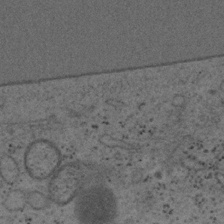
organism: Human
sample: HeLa cells